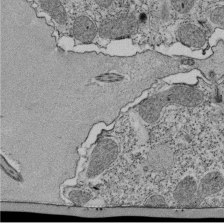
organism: Tetrahymena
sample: Cilia in tetrahymena